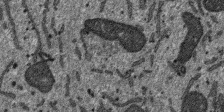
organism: Human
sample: Lung epithelial cells infected with SARS-CoV-2